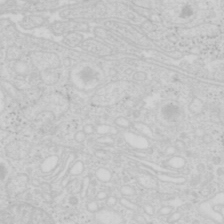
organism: Mouse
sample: Pancreas